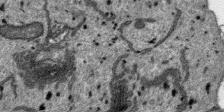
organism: Human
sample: Lung epithelial cells, uninfected (mock) control